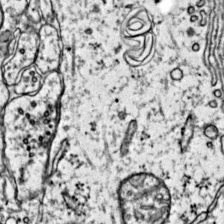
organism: Mouse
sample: Primary visual cortex